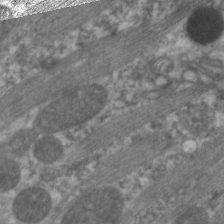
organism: C. elegans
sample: Pharynx